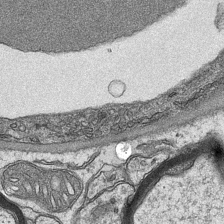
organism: Mouse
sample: CA1 Hippocampus